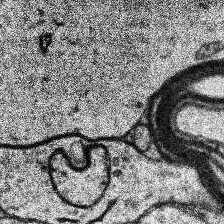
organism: Human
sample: Temporal Lobe